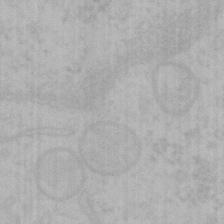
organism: Mouse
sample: Choroid plexus